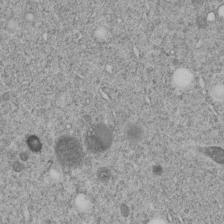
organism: C. elegans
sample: C. elegans embryo early stage